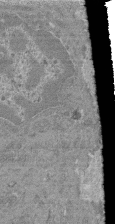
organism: Mouse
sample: Glomerulus